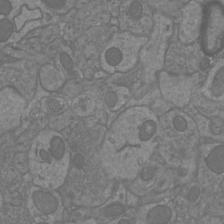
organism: Mouse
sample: Cortical neurons